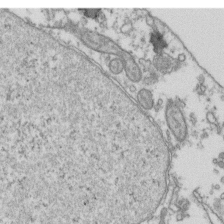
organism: Human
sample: Activated Jurkat CD4+ T cells